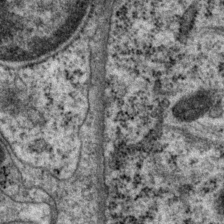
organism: P. pacificus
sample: Pharynx